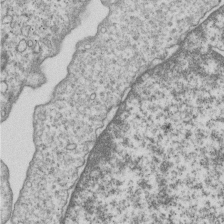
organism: Human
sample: MDA-MB-231 cells